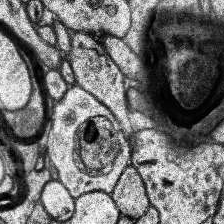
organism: Human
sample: Temporal Lobe